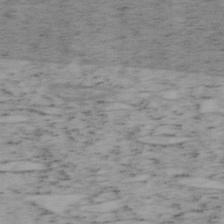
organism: Mouse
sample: OT-I killer T cells with ID8 ovarian cancer cells